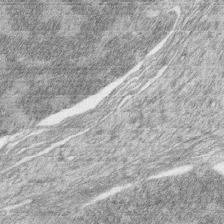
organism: Zebrafish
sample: synaptic ribbons in rod cells and cone cells